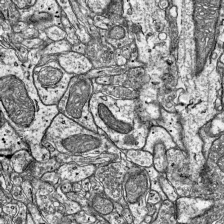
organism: Mouse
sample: Visual Cortex